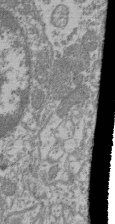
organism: Mouse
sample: Glomerulus